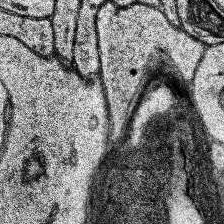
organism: Human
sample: Temporal Lobe